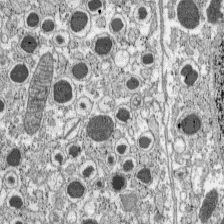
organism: C57BL Mouse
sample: Pancreatic islet